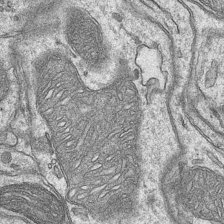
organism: Mouse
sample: CA1 Hippocampus